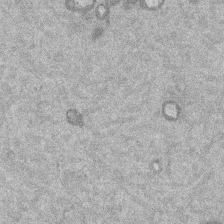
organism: Mouse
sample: Dividing mouse embryo 1 cell stage